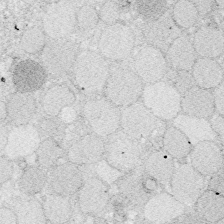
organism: Zebrafish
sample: Whole-Brain